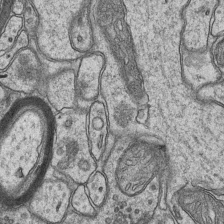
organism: Mouse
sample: CA1 Hippocampus